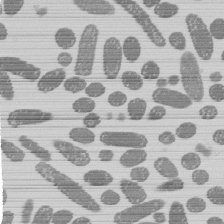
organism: E. coli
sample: Bacterial nucleoid